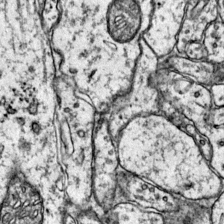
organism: Mouse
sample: Primary visual cortex